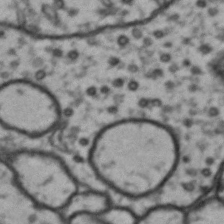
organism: Drosophila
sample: Brain